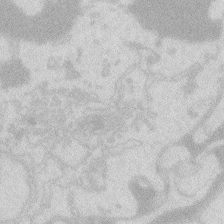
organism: Zebrafish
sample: Macrophage